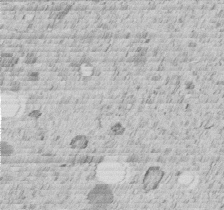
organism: C. elegans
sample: C. elegans embryo early stage